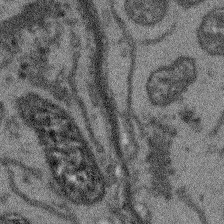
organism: Arabidopsis thaliana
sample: Root tip